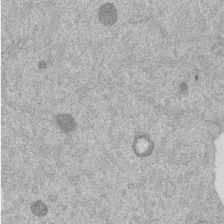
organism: Mouse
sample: Dividing mouse embryo 1 cell stage